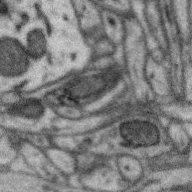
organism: Zebra finch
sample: Brain